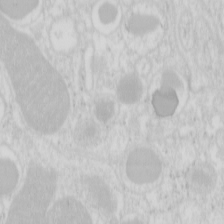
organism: Mouse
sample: Pancreas